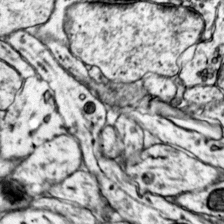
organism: Mouse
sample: Primary visual cortex